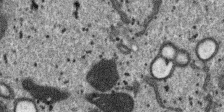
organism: Human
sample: Lung epithelial cells infected with SARS-CoV-2